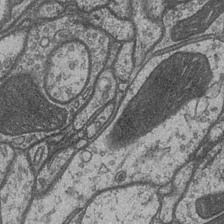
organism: Drosophila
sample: Optic medulla